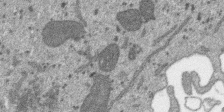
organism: Human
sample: Lung epithelial cells infected with SARS-CoV-2